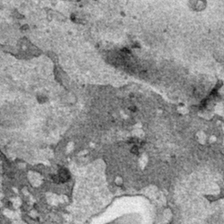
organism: Human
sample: Mitochondria in HCT116 cells